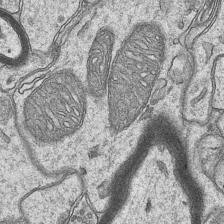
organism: Mouse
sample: CA1 Hippocampus